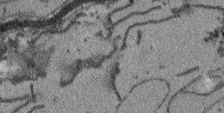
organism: Arabidopsis thaliana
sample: Root tip